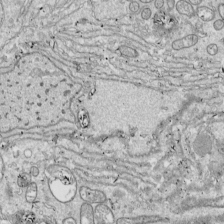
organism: Drosophila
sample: Cell division; meiosis; drosophila spermatocytes